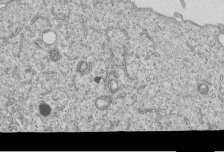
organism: Human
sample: MDA-MB-231 cells